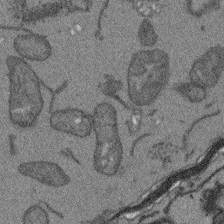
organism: Arabidopsis thaliana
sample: Root tip